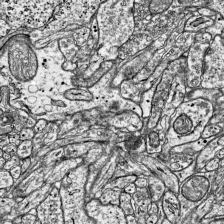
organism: Mouse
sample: Visual Cortex